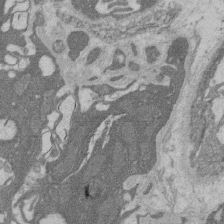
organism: Rat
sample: Salivary granule